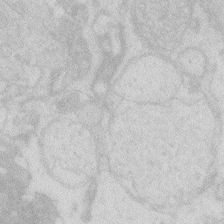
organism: Zebrafish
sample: Macrophage